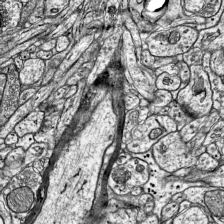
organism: Mouse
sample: Visual Cortex